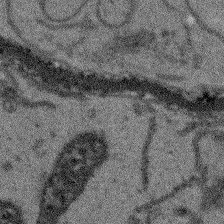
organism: Arabidopsis thaliana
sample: Root tip